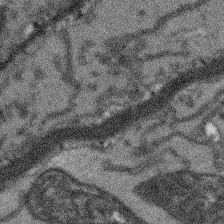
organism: Arabidopsis thaliana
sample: Root tip